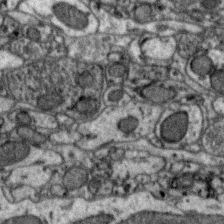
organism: Zebra finch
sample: Brain